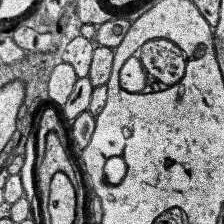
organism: Human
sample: Temporal Lobe